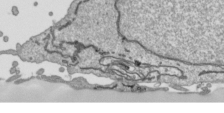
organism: Human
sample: Mitochondria in HCT116 cells